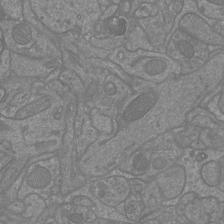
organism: Mouse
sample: Cortical neurons